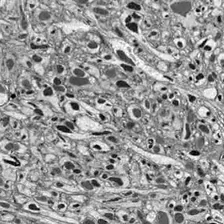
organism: Drosophila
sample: Optic lobe